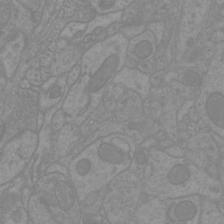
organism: Mouse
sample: Cortical neurons